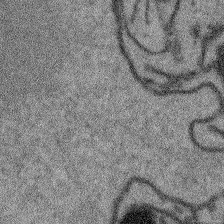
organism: Arabidopsis thaliana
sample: Root tip